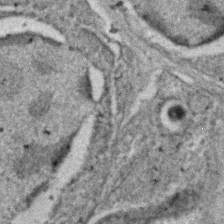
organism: C. elegans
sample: C. elegans embryo